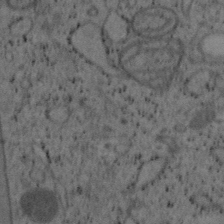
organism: Human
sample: HeLa cells